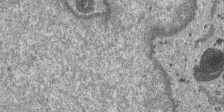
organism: Human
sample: Lung epithelial cells infected with SARS-CoV-2